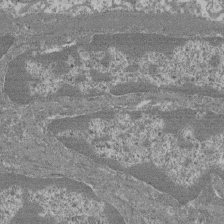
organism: Mouse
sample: Glomerulus